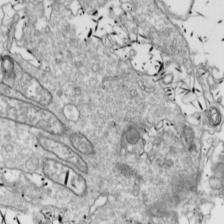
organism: Drosophila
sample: Cell division; meiosis; drosophila spermatocytes